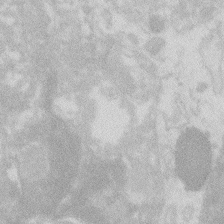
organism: Zebrafish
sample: Macrophage